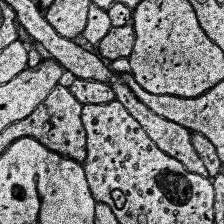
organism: Human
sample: Temporal Lobe